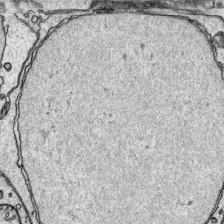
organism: Platynereis dumerilii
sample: Parapodia